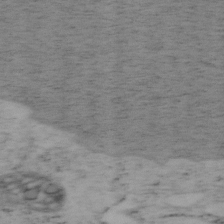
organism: Mouse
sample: OT-I killer T cells with ID8 ovarian cancer cells